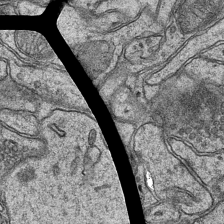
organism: Mouse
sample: CA1 Hippocampus